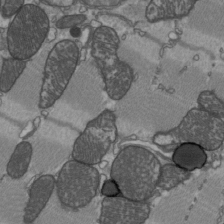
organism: C57BL Mouse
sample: Heart